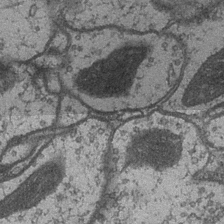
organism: Drosophila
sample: Optic medulla